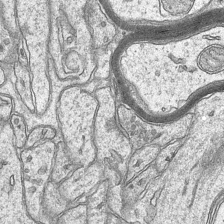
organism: Mouse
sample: CA1 Hippocampus